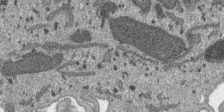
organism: Human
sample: Lung epithelial cells infected with SARS-CoV-2